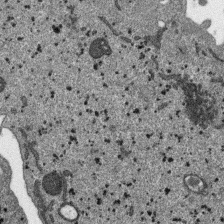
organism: Human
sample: Lung epithelial cells infected with SARS-CoV-2